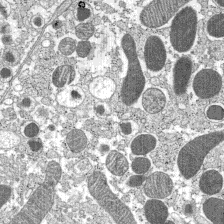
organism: C57BL Mouse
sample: Pancreatic islet